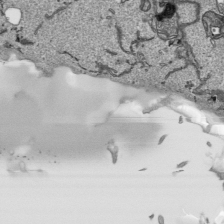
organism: Human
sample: Mitochondria in HCT116 cells